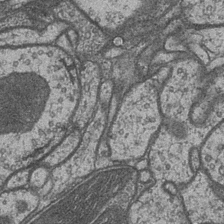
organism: Drosophila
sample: Optic medulla